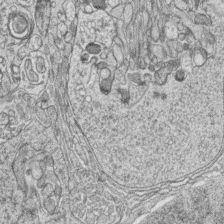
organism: Zebrafish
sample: synaptic ribbons in rod cells and cone cells